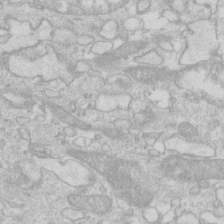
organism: Human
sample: Fibroblast cells